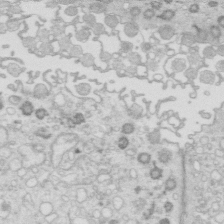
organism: Mouse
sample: Multiciliated cells